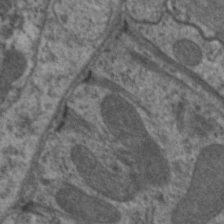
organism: C. elegans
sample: Pharynx